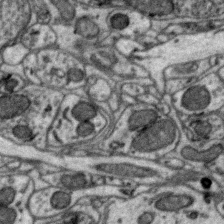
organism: Zebra finch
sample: Brain